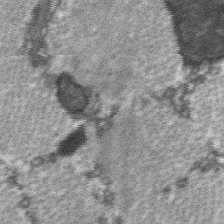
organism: C57BL Mouse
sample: Soleus